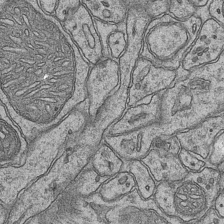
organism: Mouse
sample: CA1 Hippocampus